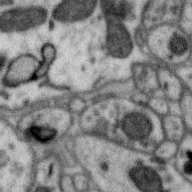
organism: Zebra finch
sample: Brain